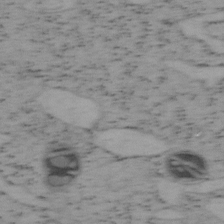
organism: Mouse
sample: OT-I killer T cells with ID8 ovarian cancer cells